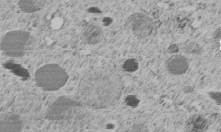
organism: C. elegans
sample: C. elegans embryo early stage